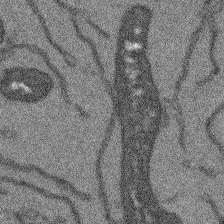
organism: Arabidopsis thaliana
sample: Root tip